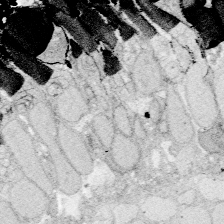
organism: Zebrafish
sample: Whole-Brain